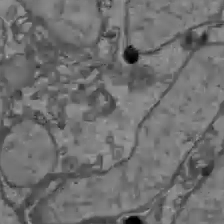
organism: C57BL Mouse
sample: Liver